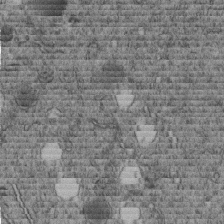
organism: C. elegans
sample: C. elegans embryo early stage